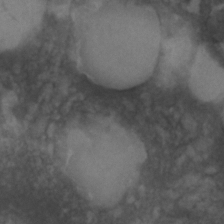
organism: C. elegans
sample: C. elegans embryo